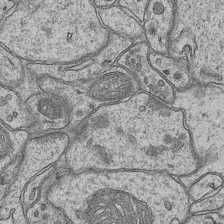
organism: Mouse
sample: CA1 Hippocampus